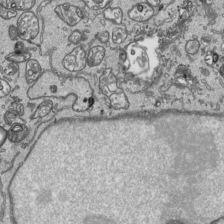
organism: Human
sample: Mitochondria in HCT116 cells